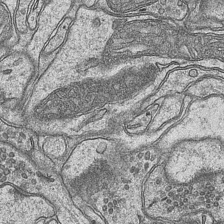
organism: Mouse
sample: CA1 Hippocampus